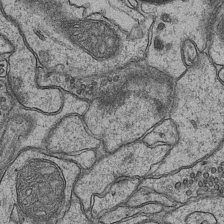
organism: Mouse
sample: CA1 Hippocampus